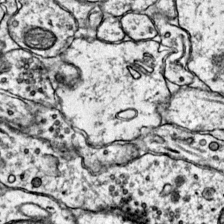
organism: Mouse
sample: Primary visual cortex